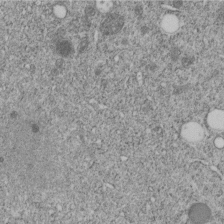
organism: C. elegans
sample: C. elegans embryo early stage